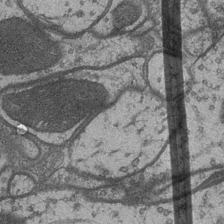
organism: Drosophila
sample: Optic medulla